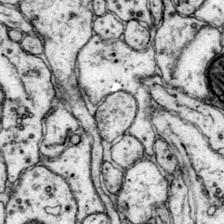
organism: Mouse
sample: Primary visual cortex